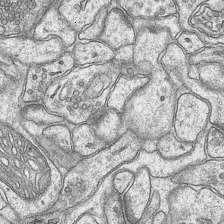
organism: Mouse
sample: CA1 Hippocampus